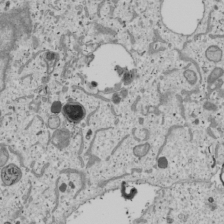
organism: Human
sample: Mitochondria in U2OS cells